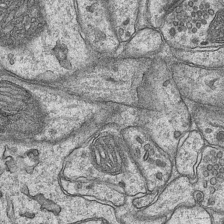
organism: Mouse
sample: CA1 Hippocampus